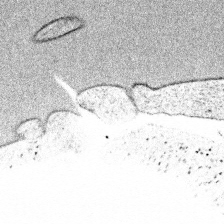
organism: Human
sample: HeLa cells